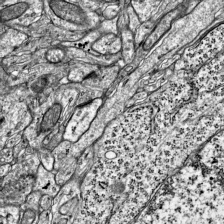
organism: Mouse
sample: Visual Cortex